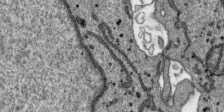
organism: Human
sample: Lung epithelial cells, uninfected (mock) control